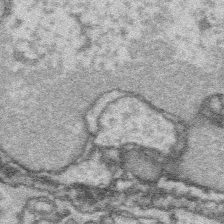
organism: Platynereis dumerilii